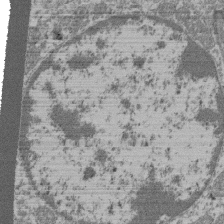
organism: Mouse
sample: Glomerulus